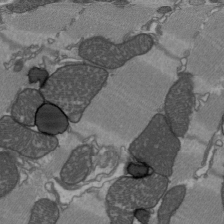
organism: C57BL Mouse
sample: Heart